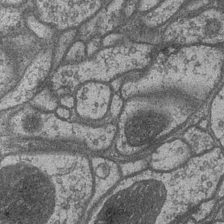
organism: Drosophila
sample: Optic medulla